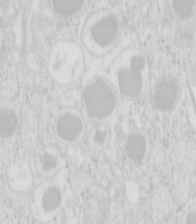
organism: Mouse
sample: Pancreas